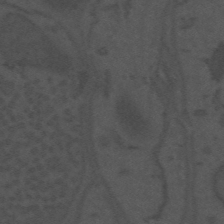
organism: Mouse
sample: Suprachiasmatic nucleus